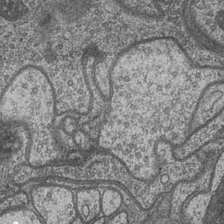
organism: Drosophila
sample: Optic medulla